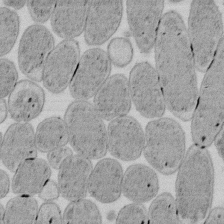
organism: E. coli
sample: Bacterial nucleoid